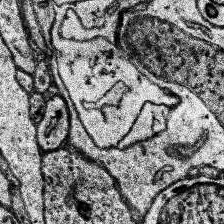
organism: Human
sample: Temporal Lobe